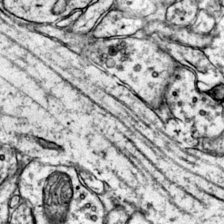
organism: Mouse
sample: Primary visual cortex